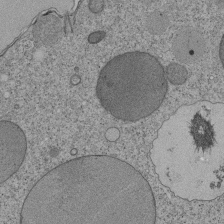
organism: Tetrahymena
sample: Cilia in tetrahymena